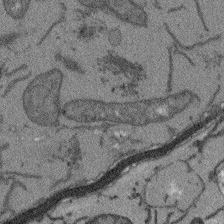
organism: Arabidopsis thaliana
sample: Root tip